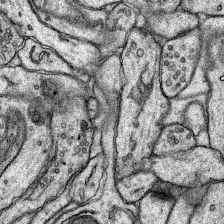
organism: Rat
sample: Hippocampus